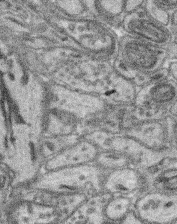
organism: Mouse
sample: Retina